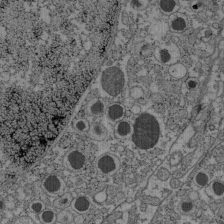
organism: C57BL Mouse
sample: Pancreatic islet